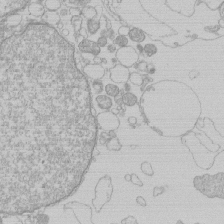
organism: Human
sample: Macrophage cells